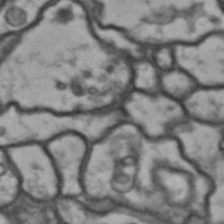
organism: Drosophila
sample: Brain